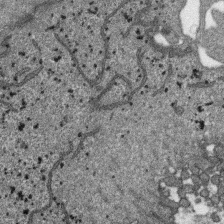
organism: Human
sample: Lung epithelial cells infected with SARS-CoV-2